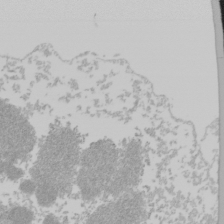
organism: Mouse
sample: Cancer cell death in ED-1 cells